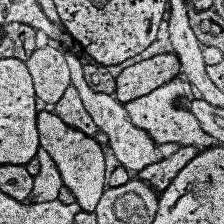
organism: Human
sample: Temporal Lobe